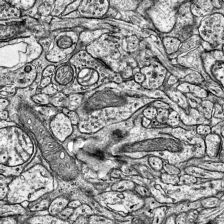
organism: Mouse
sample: Visual Cortex